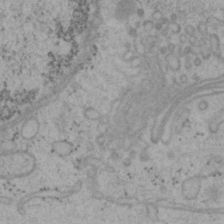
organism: Human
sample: HeLa cells